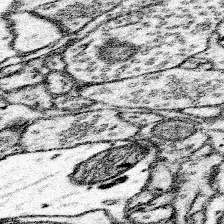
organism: Mouse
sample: Somatosensory cortex neuropil